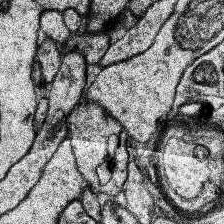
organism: Human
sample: Temporal Lobe